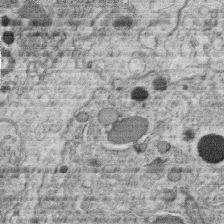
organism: C. elegans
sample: C. elegans oocyte; sperm cells